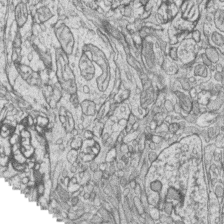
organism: Zebrafish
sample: synaptic ribbons in rod cells and cone cells